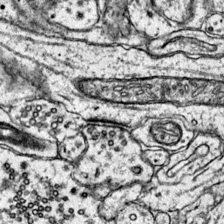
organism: Mouse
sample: Primary visual cortex